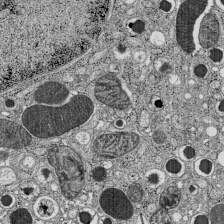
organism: C57BL Mouse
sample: Pancreatic islet